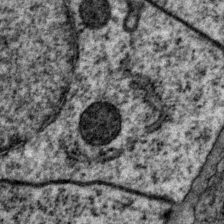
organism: P. pacificus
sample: Pharynx